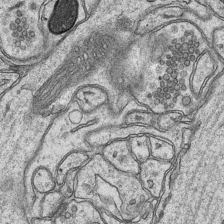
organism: Mouse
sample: CA1 Hippocampus